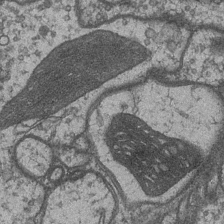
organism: Drosophila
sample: Optic medulla